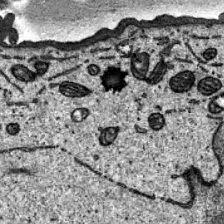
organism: Human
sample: HeLa cells